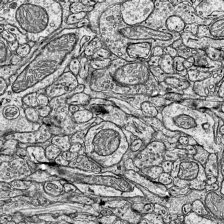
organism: Mouse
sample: Visual Cortex